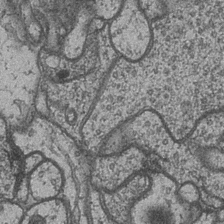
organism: Drosophila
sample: Optic medulla